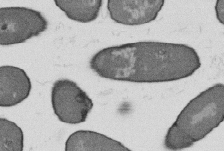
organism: B. subtilis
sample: Bacterial spore